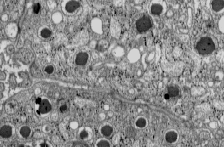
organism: C57BL Mouse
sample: Pancreatic islet